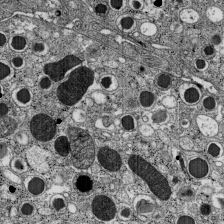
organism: C57BL Mouse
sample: Pancreatic islet